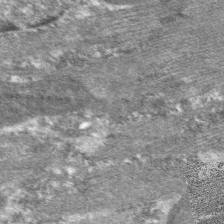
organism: C. elegans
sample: Pharynx